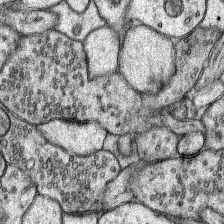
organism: Rat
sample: Hippocampus